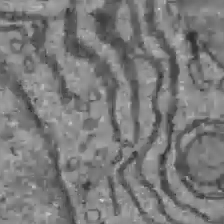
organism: C57BL Mouse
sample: Liver